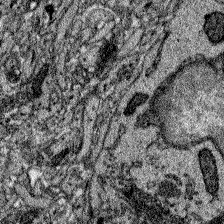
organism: Zebrafish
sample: Larval olfactory bulb